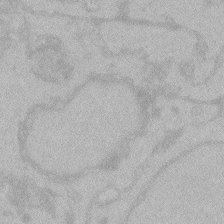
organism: Zebrafish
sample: Macrophage infected with Toxoplasma gondii